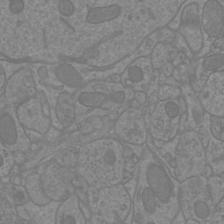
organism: Mouse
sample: Cortical neurons